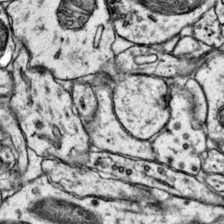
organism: Mouse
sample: Primary visual cortex